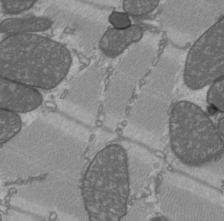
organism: C57BL Mouse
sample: Heart